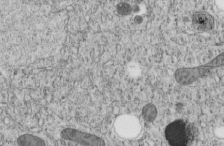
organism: C. elegans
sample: C. elegans embryo early stage